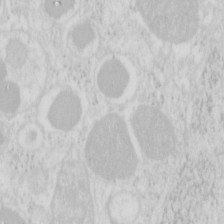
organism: Mouse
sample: Pancreas